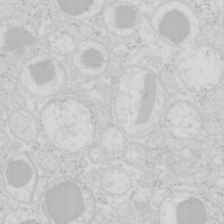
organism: Mouse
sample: Pancreas